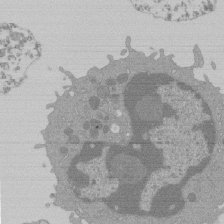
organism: Mouse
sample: Activated Pmel transgenic CD8+ T Cells